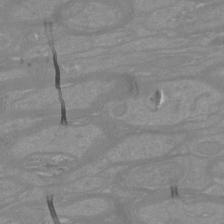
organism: Mouse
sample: Cortical neurons